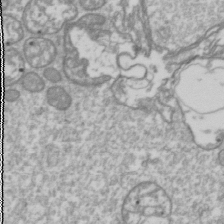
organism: Drosophila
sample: Cell division; meiosis; drosophila spermatocytes